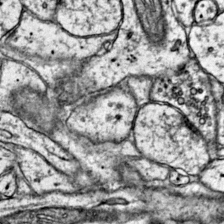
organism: Mouse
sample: Primary visual cortex